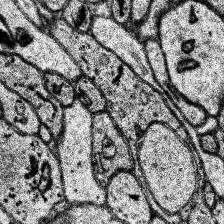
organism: Human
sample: Temporal Lobe